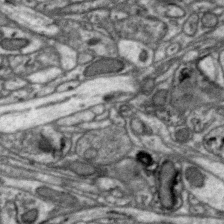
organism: Zebra finch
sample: Brain